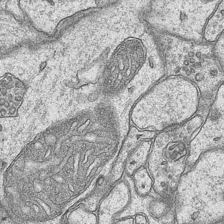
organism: Mouse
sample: CA1 Hippocampus